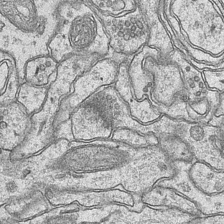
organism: Mouse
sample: CA1 Hippocampus